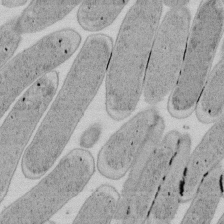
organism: E. coli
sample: Bacterial nucleoid